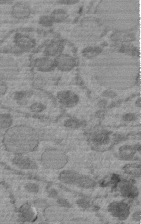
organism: C. elegans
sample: C. elegans embryo early stage